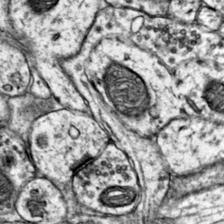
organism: Mouse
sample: Primary visual cortex